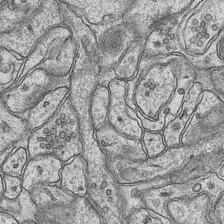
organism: Mouse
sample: CA1 Hippocampus